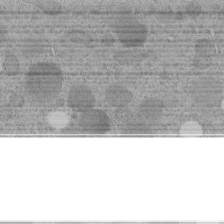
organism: C. elegans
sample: C. elegans embryo early stage